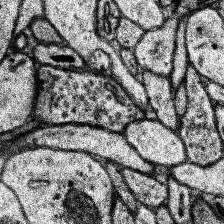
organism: Human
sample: Temporal Lobe